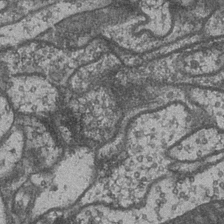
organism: Drosophila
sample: Optic medulla